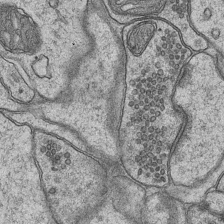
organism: Mouse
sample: CA1 Hippocampus